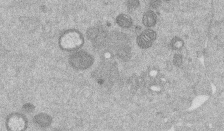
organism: Mouse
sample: Dividing mouse embryo 1 cell stage